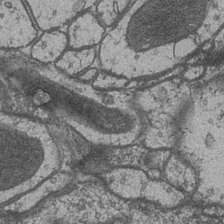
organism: Drosophila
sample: Optic medulla